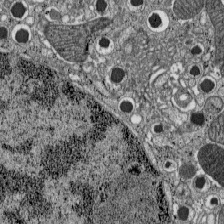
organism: C57BL Mouse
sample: Pancreatic islet